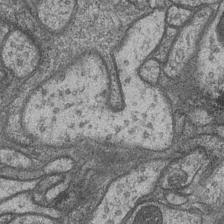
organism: Drosophila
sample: Optic medulla